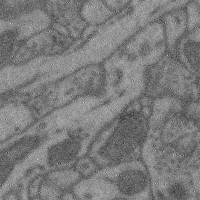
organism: Mouse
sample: Cerebral cortex